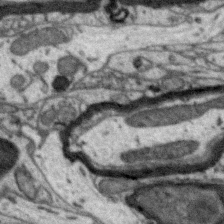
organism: Zebra finch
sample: Brain